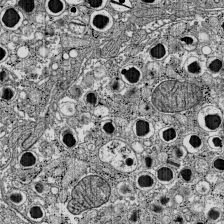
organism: C57BL Mouse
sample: Pancreatic islet